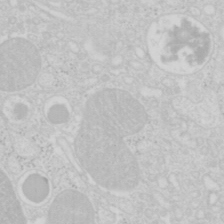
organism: Mouse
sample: Pancreas